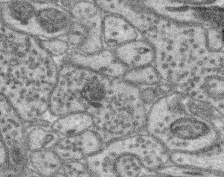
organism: Mouse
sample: Retina